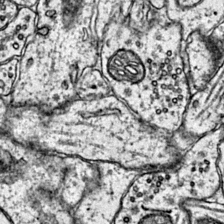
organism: Mouse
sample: Primary visual cortex